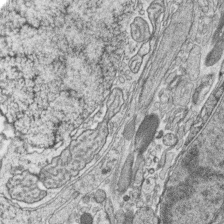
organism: Zebrafish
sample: synaptic ribbons in rod cells and cone cells